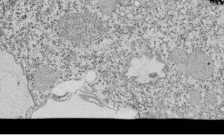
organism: Tetrahymena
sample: Cilia in tetrahymena